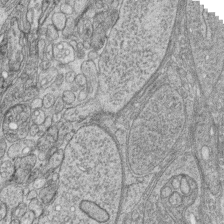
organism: Zebrafish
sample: synaptic ribbons in rod cells and cone cells